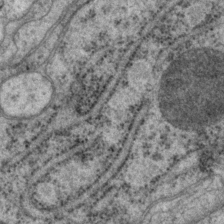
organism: P. pacificus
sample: Pharynx